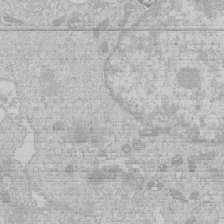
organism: Human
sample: Macrophage cells